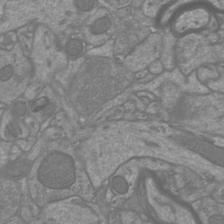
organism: Mouse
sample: Cortical neurons